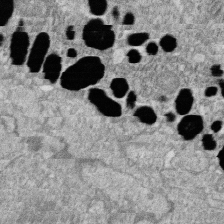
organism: Zebrafish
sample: Cilia; retinal pigment epithelium